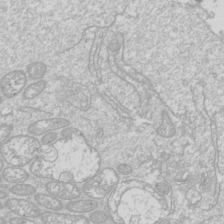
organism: Drosophila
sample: Cell division; meiosis; drosophila spermatocytes